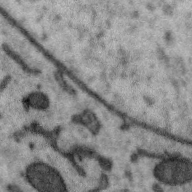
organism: Zebra finch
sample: Brain